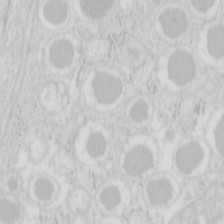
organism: Mouse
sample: Pancreas